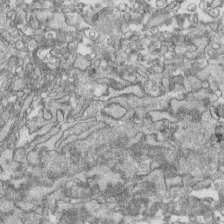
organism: Human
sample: CRL-1474